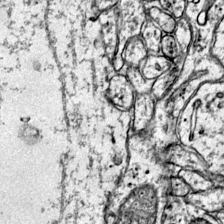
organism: Mouse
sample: Primary visual cortex